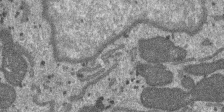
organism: Human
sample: Lung epithelial cells infected with SARS-CoV-2